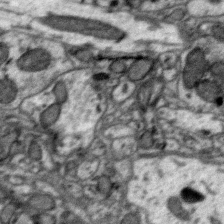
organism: Zebra finch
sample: Brain